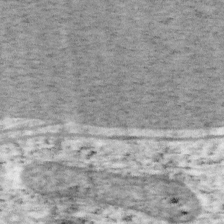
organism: Mouse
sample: OT-I killer T cells with ID8 ovarian cancer cells